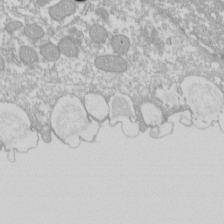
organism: Xenopus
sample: Cilia; centrioles in frog embryo cells